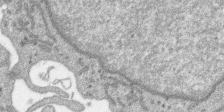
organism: Human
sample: Lung epithelial cells infected with SARS-CoV-2